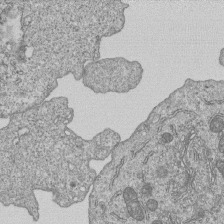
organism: Human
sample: MDA-MB-231 cells